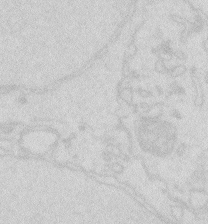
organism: Zebrafish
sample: Macrophage